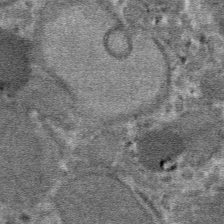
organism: Mouse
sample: Mouse hepatocytes